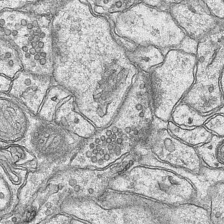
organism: Mouse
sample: CA1 Hippocampus